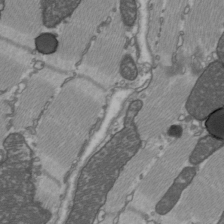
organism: C57BL Mouse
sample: Heart